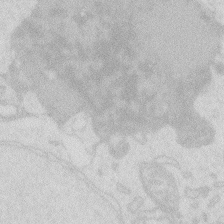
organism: Zebrafish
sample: Macrophage